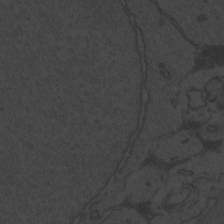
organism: Zebrafish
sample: Macrophage infected with Toxoplasma gondii